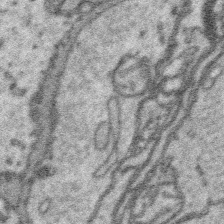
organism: Platynereis dumerilii